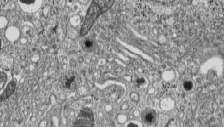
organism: C57BL Mouse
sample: Pancreatic islet